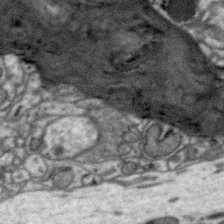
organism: Zebra finch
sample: Brain